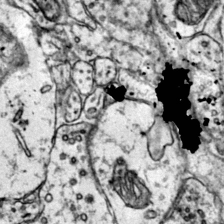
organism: Mouse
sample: Primary visual cortex